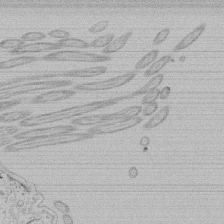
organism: Tetrahymena